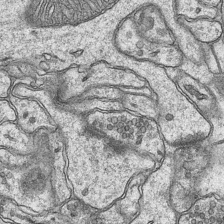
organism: Mouse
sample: CA1 Hippocampus